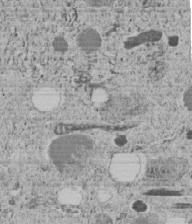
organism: C. elegans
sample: C. elegans embryo early stage